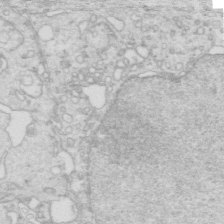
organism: Mouse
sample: Multiciliated cells